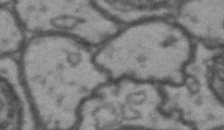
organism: Drosophila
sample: Brain